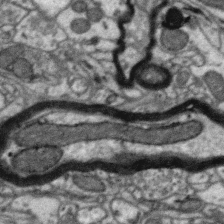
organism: Zebra finch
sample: Brain